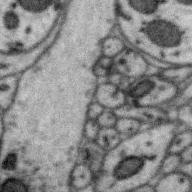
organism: Zebra finch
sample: Brain